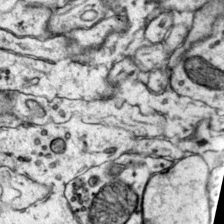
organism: Mouse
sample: Primary visual cortex